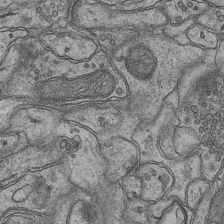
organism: Mouse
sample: CA1 Hippocampus